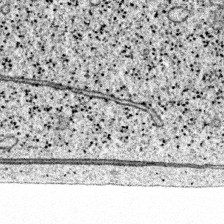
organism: Human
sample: HeLa cells